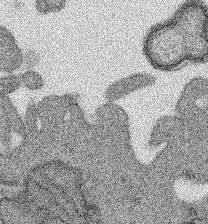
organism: Human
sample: HeLa cells